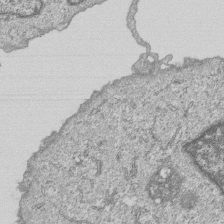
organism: Human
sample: MDA-MB-231 cells